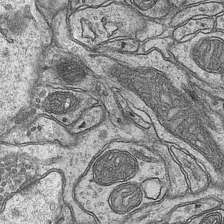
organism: Mouse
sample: CA1 Hippocampus